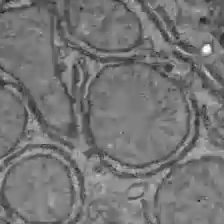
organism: C57BL Mouse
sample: Liver